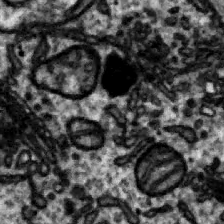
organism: Human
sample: HeLa cells